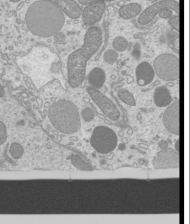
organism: Mouse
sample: Cilia; mouse epididymis